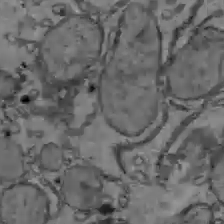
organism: C57BL Mouse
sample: Liver